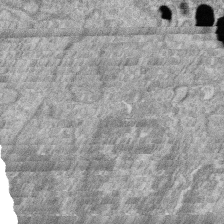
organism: Zebrafish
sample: Cilia; retinal pigment epithelium